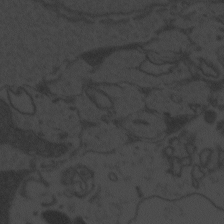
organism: Zebrafish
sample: Macrophage infected with Toxoplasma gondii